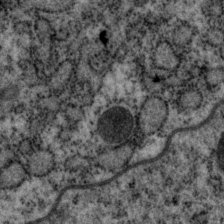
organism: P. pacificus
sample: Pharynx